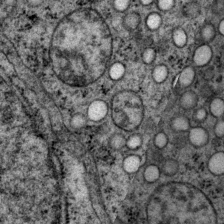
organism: P. pacificus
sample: Pharynx